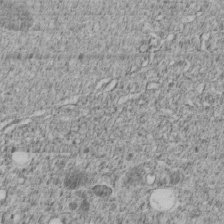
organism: C. elegans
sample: C. elegans embryo early stage